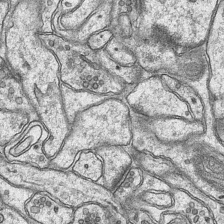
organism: Mouse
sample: CA1 Hippocampus